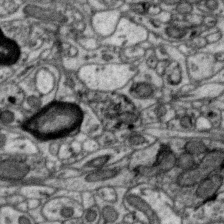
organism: Zebra finch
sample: Brain